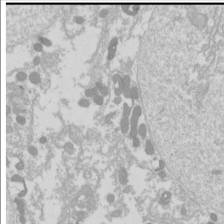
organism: Drosophila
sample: Cell division; meiosis; drosophila spermatocytes